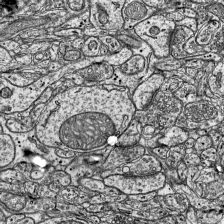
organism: Mouse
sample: Visual Cortex